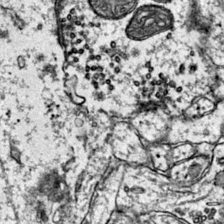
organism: Mouse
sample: Primary visual cortex